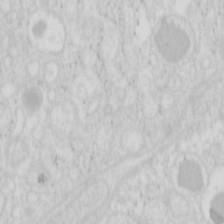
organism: Mouse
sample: Pancreas